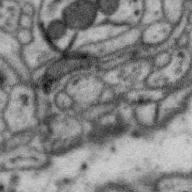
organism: Zebra finch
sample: Brain